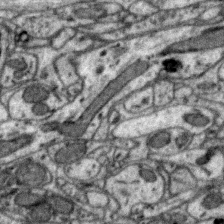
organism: Zebra finch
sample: Brain